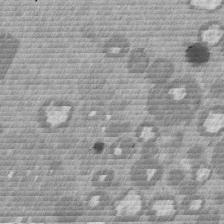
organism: Mouse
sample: Dividing mouse embryo 1 cell stage